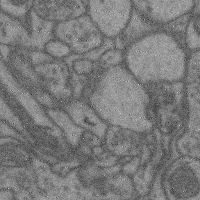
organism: Mouse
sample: Cerebral cortex